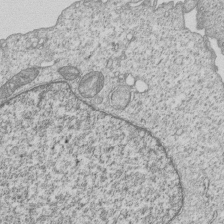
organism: Human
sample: MDA-MB-231 cells